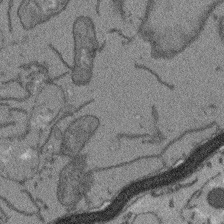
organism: Arabidopsis thaliana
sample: Root tip